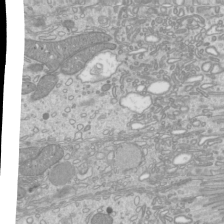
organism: Mouse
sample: Cilia; mouse epididymis